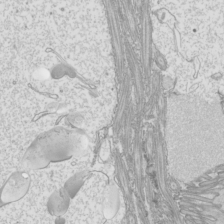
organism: Mouse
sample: Cilia; mouse epididymis